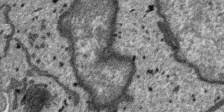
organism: Human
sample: Lung epithelial cells, uninfected (mock) control